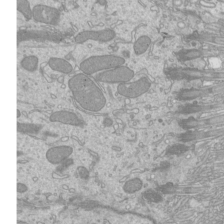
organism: Mouse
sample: Cilia; mouse epididymis